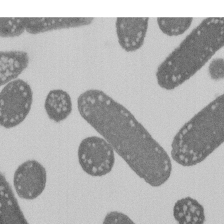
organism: E. coli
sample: Bacterial nucleoid